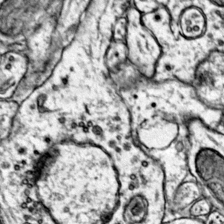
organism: Mouse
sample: Primary visual cortex